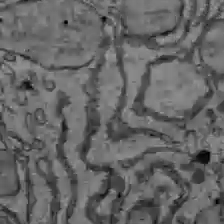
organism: C57BL Mouse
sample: Liver